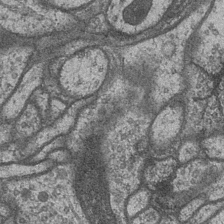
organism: Drosophila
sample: Optic medulla